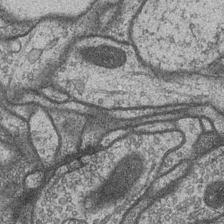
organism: Drosophila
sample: Optic medulla